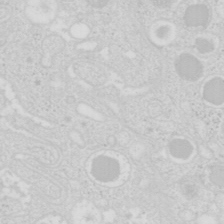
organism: Mouse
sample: Pancreas